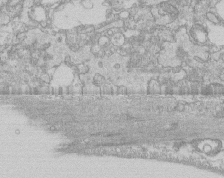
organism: Human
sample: CRL-1474